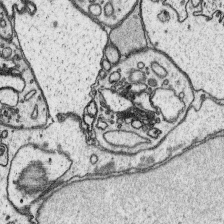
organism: Platynereis dumerilii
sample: Parapodia